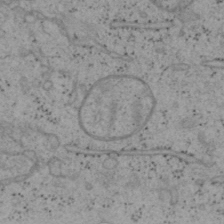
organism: Human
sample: HeLa cells